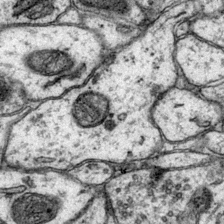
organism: Mouse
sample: Primary visual cortex